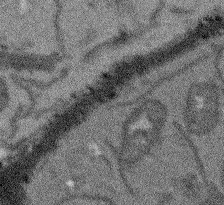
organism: Arabidopsis thaliana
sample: Root tip